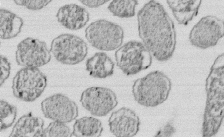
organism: E. coli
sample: Bacterial nucleoid